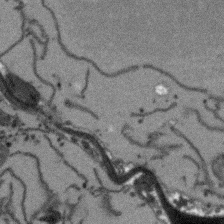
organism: Arabidopsis thaliana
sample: Root tip